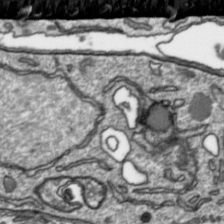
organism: Toxoplasma gondii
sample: Parasites in a vacuole inside a host cell